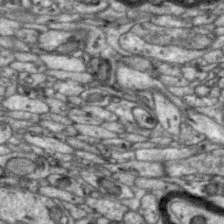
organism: Zebra finch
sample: Brain